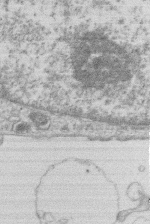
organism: Human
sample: Macrophage cells